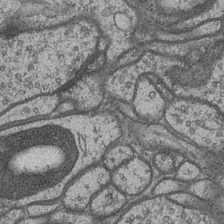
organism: Drosophila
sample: Optic medulla